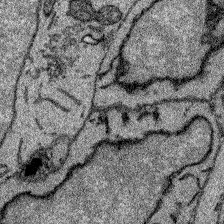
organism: Zebrafish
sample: Larval olfactory bulb